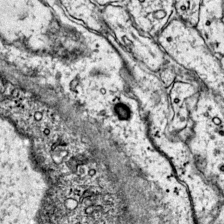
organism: Mouse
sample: Primary visual cortex